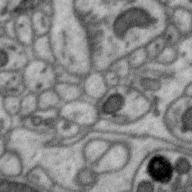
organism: Zebra finch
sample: Brain